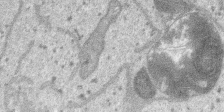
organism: Human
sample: Lung epithelial cells infected with SARS-CoV-2